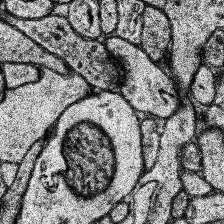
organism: Human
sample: Temporal Lobe